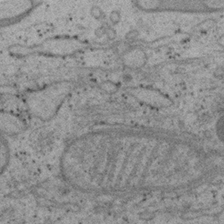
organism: Human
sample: HeLa cells